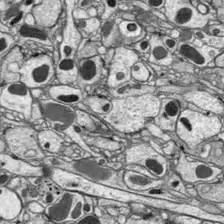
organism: Drosophila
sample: Optic lobe